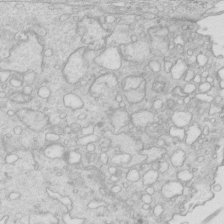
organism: Mouse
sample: Multiciliated cells